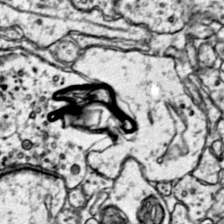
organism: Mouse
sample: Primary visual cortex